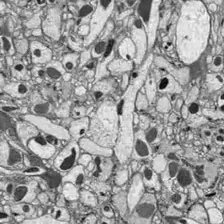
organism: Drosophila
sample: Optic lobe